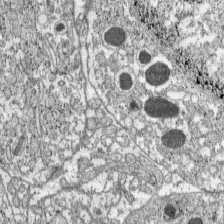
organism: C57BL Mouse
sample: Pancreatic islet